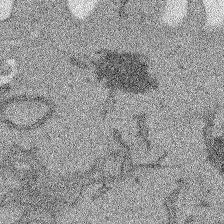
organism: Human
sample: HeLa cells